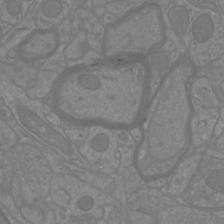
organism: Mouse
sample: Cortical neurons